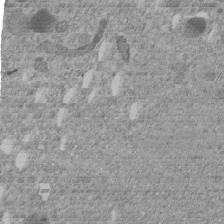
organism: C. elegans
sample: C. elegans embryo early stage